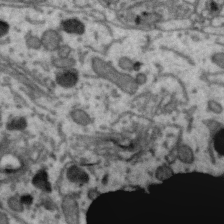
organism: Zebra finch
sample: Brain